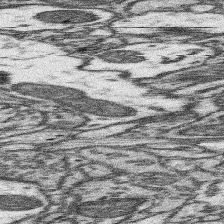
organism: Mouse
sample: Somatosensory cortex neuropil